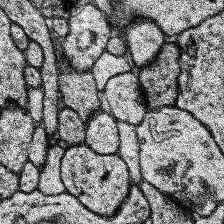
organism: Human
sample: Temporal Lobe